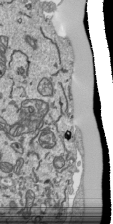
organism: Human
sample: Mitochondria in HCT116 cells